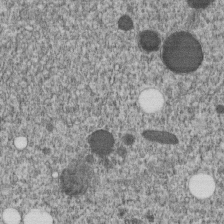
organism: C. elegans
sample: C. elegans embryo early stage